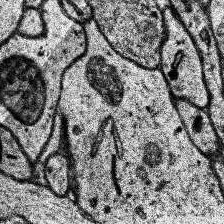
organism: Human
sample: Temporal Lobe